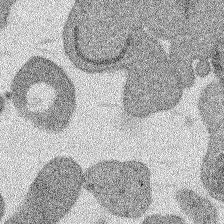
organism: Human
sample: HeLa cells